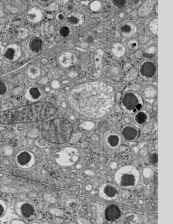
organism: C57BL Mouse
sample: Pancreatic islet